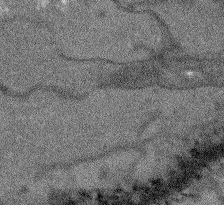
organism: Arabidopsis thaliana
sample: Root tip